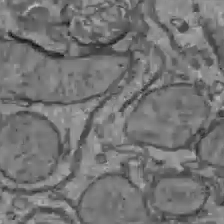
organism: C57BL Mouse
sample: Liver